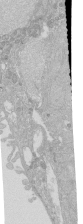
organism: Human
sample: Caco-2 cells